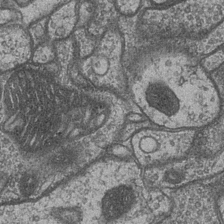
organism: Drosophila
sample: Optic medulla